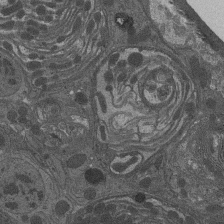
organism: Drosophila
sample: Antenna